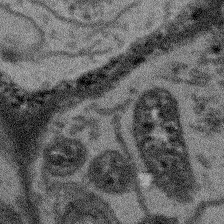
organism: Arabidopsis thaliana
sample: Root tip